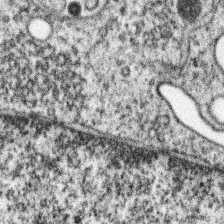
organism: Human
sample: HeLa cells